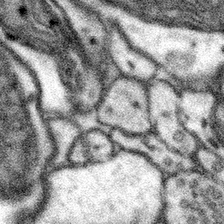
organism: Mouse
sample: Somatosensory cortex neuropil